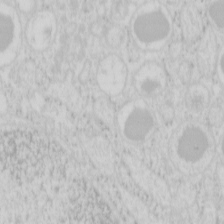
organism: Mouse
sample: Pancreas